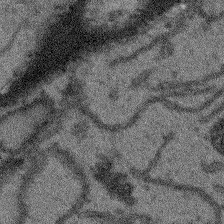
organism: Arabidopsis thaliana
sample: Root tip